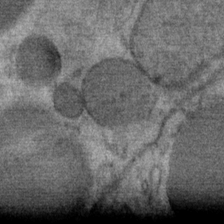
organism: Mouse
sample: Mouse Salivary gland